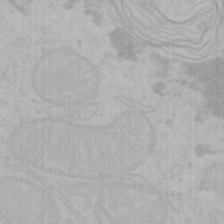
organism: Mouse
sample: Choroid plexus